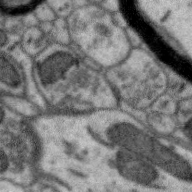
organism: Zebra finch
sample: Brain